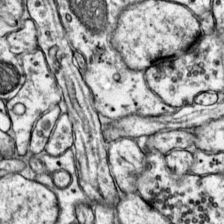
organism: Mouse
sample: Primary visual cortex